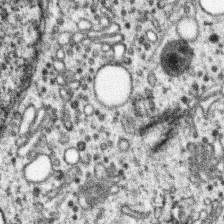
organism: Human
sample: HeLa cells